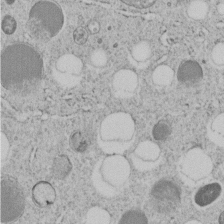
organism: C. elegans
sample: C. elegans embryo early stage